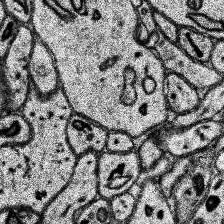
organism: Human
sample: Temporal Lobe